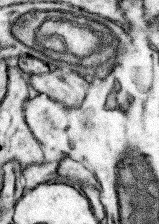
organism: Mouse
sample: Somatosensory cortex neuropil